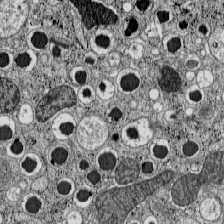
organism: C57BL Mouse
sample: Pancreatic islet